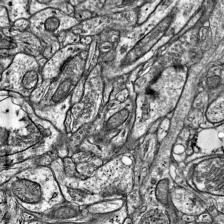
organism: Mouse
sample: Visual Cortex